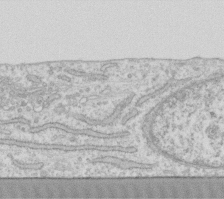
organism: Human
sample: Fibroblast cells